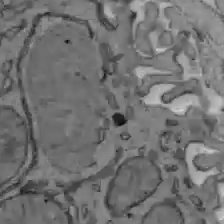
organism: C57BL Mouse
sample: Liver